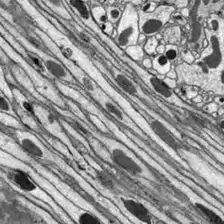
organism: Drosophila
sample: Optic lobe